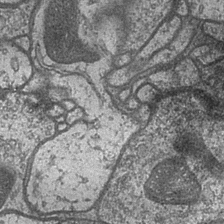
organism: Drosophila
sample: Optic medulla